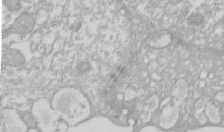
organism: Xenopus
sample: Cilia; centrioles in frog embryo cells